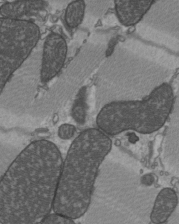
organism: C57BL Mouse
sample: Heart